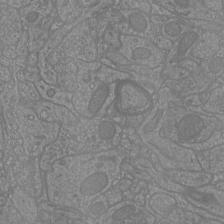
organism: Mouse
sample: Cortical neurons